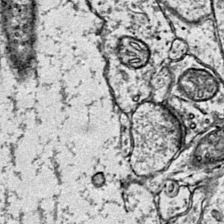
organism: Mouse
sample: Primary visual cortex